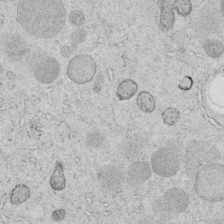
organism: C. elegans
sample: C. elegans embryo early stage